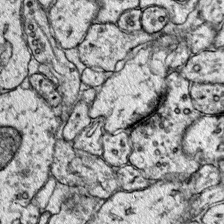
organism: Mouse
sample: Primary visual cortex